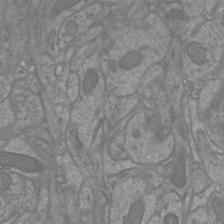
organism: Mouse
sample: Cortical neurons